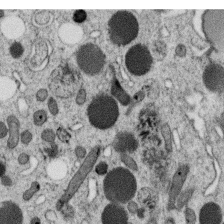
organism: C. elegans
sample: C. elegans oocyte; sperm cells